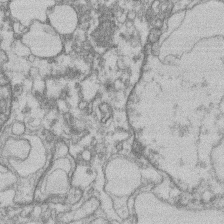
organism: Mouse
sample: T cell stromal cell synapse